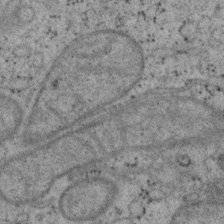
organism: Human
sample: HeLa cells